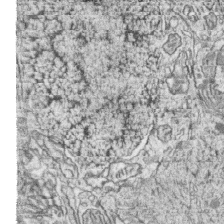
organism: Zebrafish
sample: synaptic ribbons in rod cells and cone cells